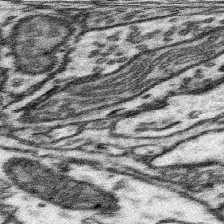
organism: Mouse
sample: Somatosensory cortex neuropil